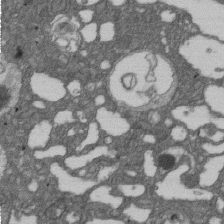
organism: Drosophila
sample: Nephrocyte